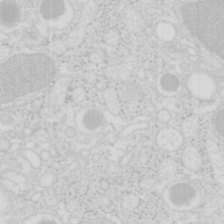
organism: Mouse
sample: Pancreas